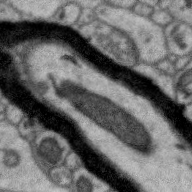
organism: Zebra finch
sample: Brain